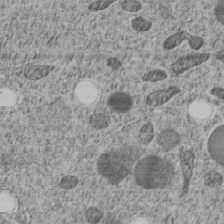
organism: C. elegans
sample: C. elegans embryo early stage